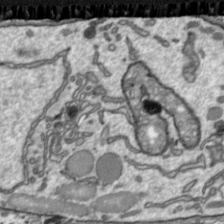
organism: Toxoplasma gondii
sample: Parasites in a vacuole inside a host cell